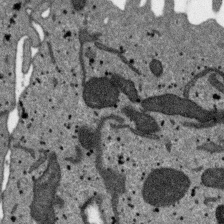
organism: Human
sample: Lung epithelial cells, uninfected (mock) control